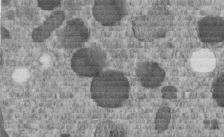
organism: C. elegans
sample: C. elegans embryo early stage